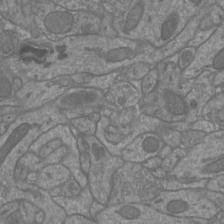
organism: Mouse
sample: Cortical neurons